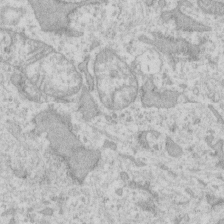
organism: Human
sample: Fibroblast cells